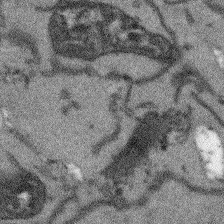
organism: Arabidopsis thaliana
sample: Root tip